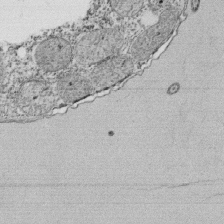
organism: Tetrahymena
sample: Cilia in tetrahymena